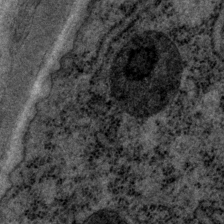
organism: P. pacificus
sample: Pharynx